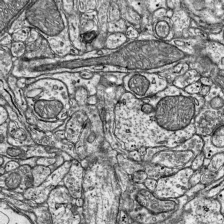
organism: Mouse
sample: Visual Cortex